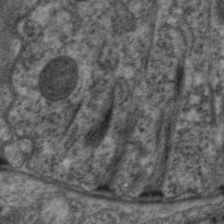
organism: C. elegans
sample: Pharynx